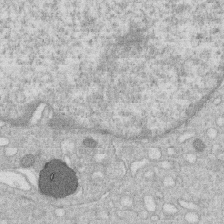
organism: Human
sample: Macrophage cells